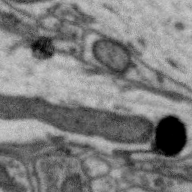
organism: Zebra finch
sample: Brain